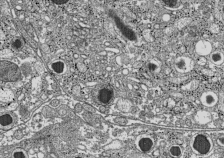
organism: C57BL Mouse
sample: Pancreatic islet